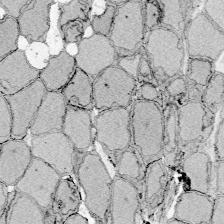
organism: Zebrafish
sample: Whole-Brain